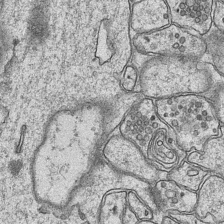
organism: Mouse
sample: CA1 Hippocampus